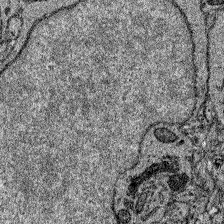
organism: Zebrafish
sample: Larval olfactory bulb